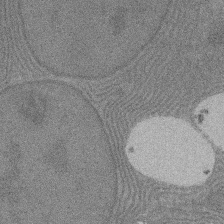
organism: Rat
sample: Salivary granule